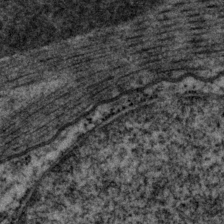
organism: P. pacificus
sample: Pharynx